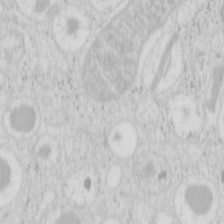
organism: Mouse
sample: Pancreas